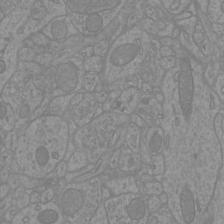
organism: Mouse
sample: Cortical neurons